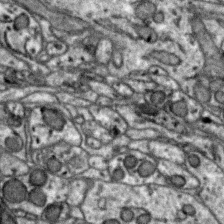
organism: Zebra finch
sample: Brain